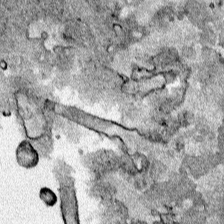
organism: Human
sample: Mitochondria in HCT116 cells